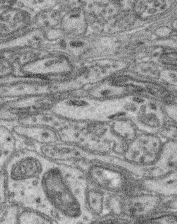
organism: Mouse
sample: Retina